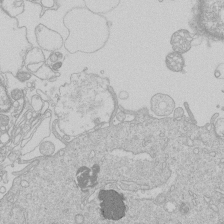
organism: Human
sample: Macrophage cells